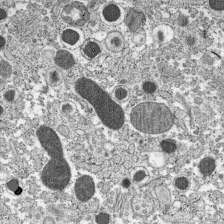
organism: C57BL Mouse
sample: Pancreatic islet